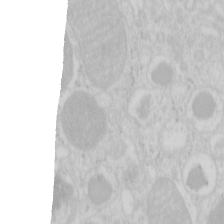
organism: Mouse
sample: Pancreas